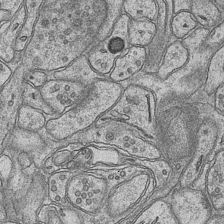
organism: Mouse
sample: CA1 Hippocampus